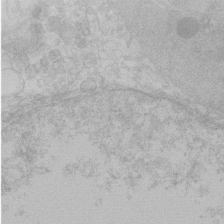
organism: Human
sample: Macrophage cells